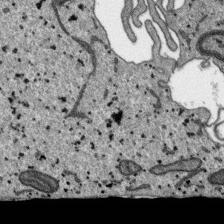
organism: Human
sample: Lung epithelial cells, uninfected (mock) control